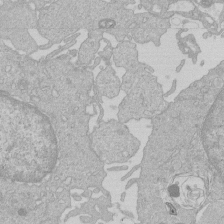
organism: Human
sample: Macrophage cells